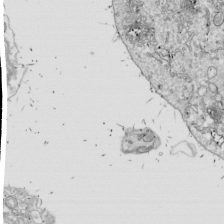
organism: Drosophila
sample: Cell division; meiosis; drosophila spermatocytes